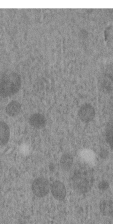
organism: C. elegans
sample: C. elegans embryo early stage